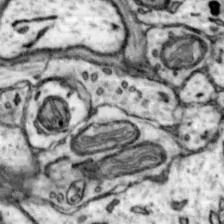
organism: Mouse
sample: Nucleus accumbens